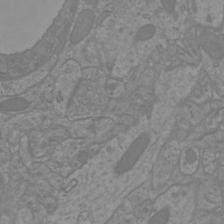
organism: Mouse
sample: Cortical neurons